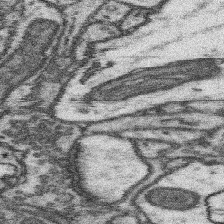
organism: Mouse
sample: Somatosensory cortex neuropil